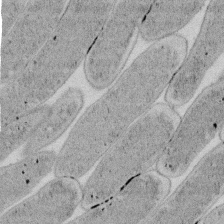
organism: E. coli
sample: Bacterial nucleoid